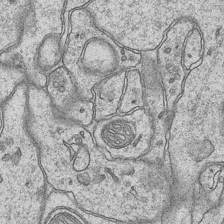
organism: Mouse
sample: CA1 Hippocampus